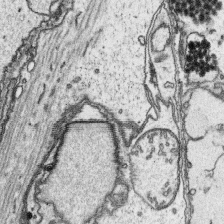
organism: Platynereis dumerilii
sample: Parapodia